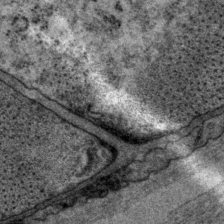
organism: P. pacificus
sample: Pharynx